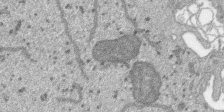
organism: Human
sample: Lung epithelial cells infected with SARS-CoV-2